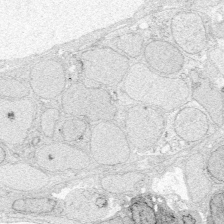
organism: Zebrafish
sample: Whole-Brain